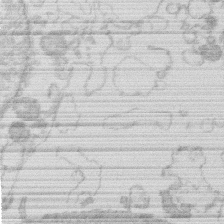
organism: Human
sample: Macrophage cells